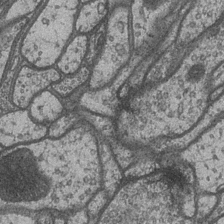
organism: Drosophila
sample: Optic medulla